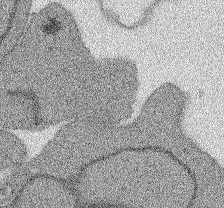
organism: Human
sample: HeLa cells